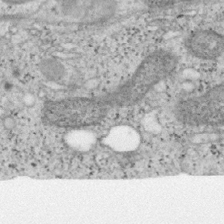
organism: Mouse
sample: OT-I killer T cells with ID8 ovarian cancer cells